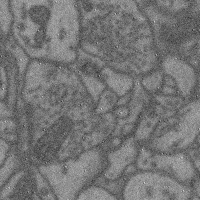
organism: Mouse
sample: Cerebral cortex